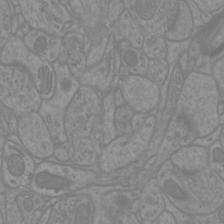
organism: Mouse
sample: Cortical neurons